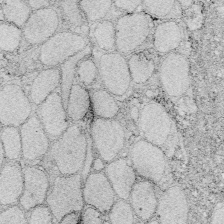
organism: Zebrafish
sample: Whole-Brain